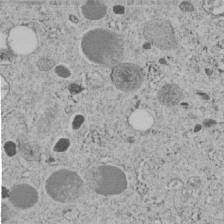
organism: C. elegans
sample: C. elegans embryo early stage